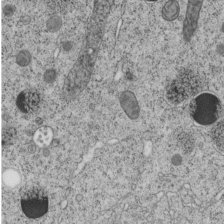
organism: C. elegans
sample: C. elegans embryo early stage